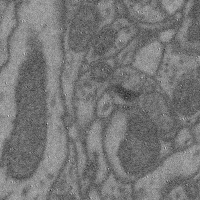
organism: Mouse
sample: Cerebral cortex